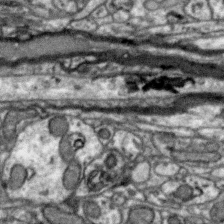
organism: Zebra finch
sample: Brain